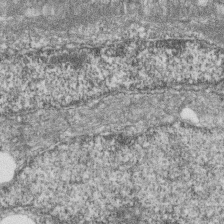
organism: Zebrafish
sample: Cilia; retinal pigment epithelium